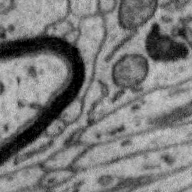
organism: Zebra finch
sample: Brain